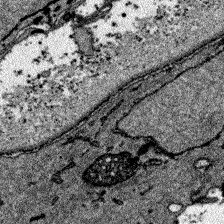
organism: Zebrafish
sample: Larval olfactory bulb